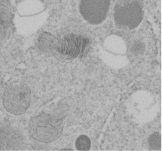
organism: C. elegans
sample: C. elegans embryo early stage